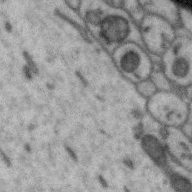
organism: Zebra finch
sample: Brain